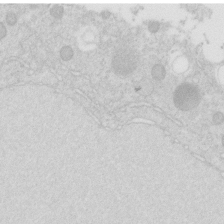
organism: C. elegans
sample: C. elegans embryo early stage